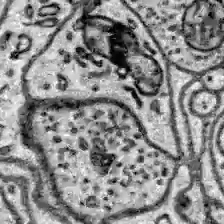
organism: Zebrafish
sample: Brain